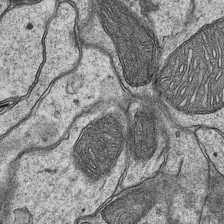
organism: Mouse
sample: CA1 Hippocampus